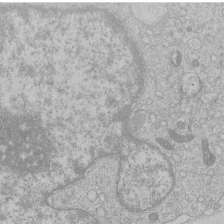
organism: Human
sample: Macrophage cells